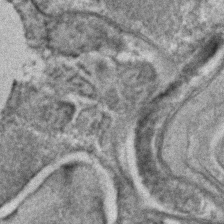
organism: C. elegans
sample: C. elegans embryo